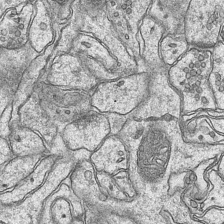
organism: Mouse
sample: CA1 Hippocampus